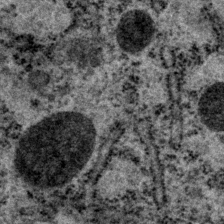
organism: P. pacificus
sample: Pharynx